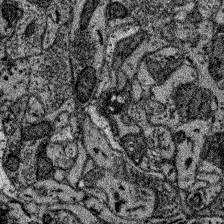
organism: Zebrafish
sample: Larval olfactory bulb